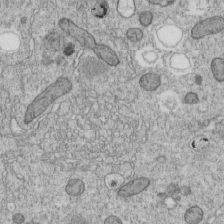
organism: C. elegans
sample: C. elegans embryo early stage